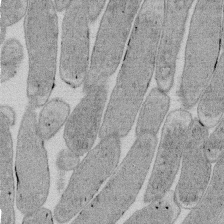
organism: E. coli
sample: Bacterial nucleoid